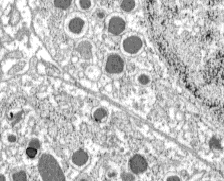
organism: C57BL Mouse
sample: Pancreatic islet